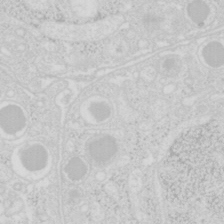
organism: Mouse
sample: Pancreas